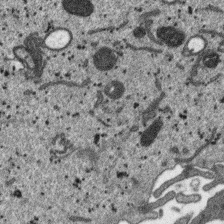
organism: Human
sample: Lung epithelial cells infected with SARS-CoV-2